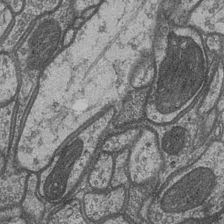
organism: Drosophila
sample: Optic medulla